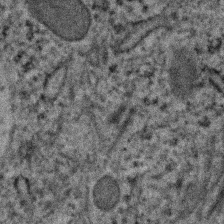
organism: Human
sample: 1205lu cells